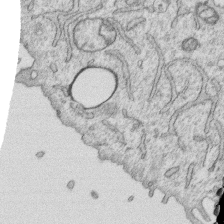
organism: Human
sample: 1205lu cells